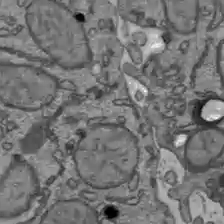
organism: C57BL Mouse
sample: Liver